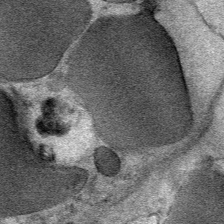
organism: Mouse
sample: Mouse Salivary gland